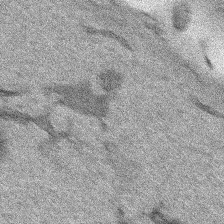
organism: Human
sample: Mitochondria in HCT116 cells